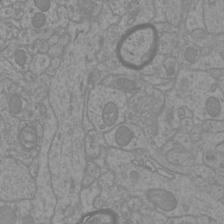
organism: Mouse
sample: Cortical neurons